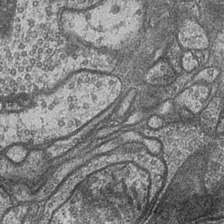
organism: Drosophila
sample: Optic medulla